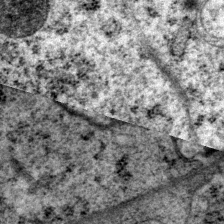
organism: P. pacificus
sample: Pharynx